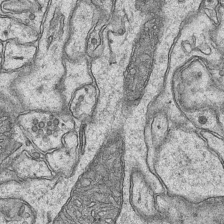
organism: Mouse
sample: CA1 Hippocampus